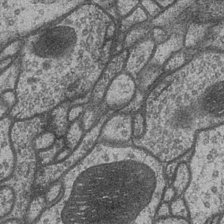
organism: Drosophila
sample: Optic medulla